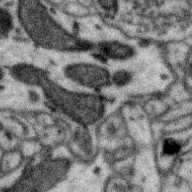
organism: Zebra finch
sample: Brain